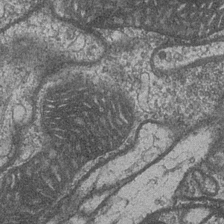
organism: Drosophila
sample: Optic medulla